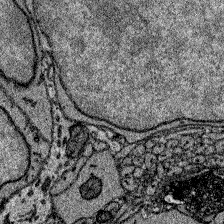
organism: Zebrafish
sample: Larval olfactory bulb